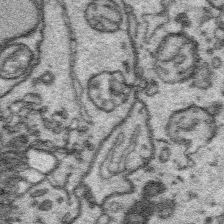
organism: Platynereis dumerilii